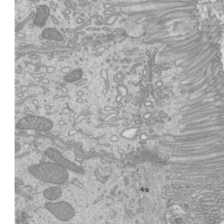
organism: Mouse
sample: Cilia; mouse epididymis